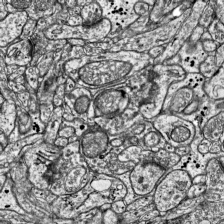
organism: Mouse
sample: Visual Cortex